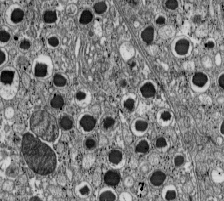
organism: C57BL Mouse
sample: Pancreatic islet